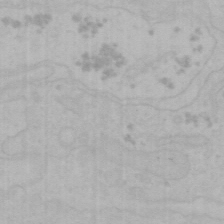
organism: Mouse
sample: Choroid plexus